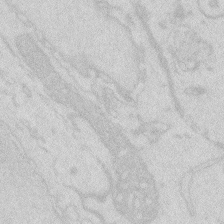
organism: Zebrafish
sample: Macrophage